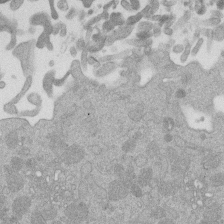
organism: Mouse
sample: Dividing mouse embryo 1 cell stage